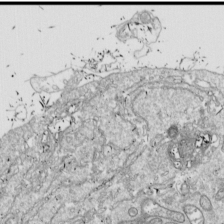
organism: Drosophila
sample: Cell division; meiosis; drosophila spermatocytes